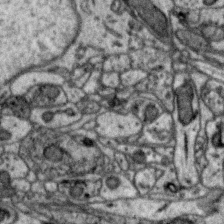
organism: Zebra finch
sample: Brain